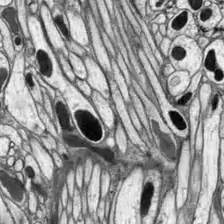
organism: Drosophila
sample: Optic lobe